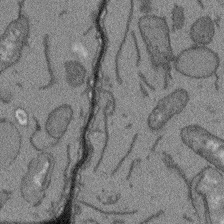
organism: Arabidopsis thaliana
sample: Root tip